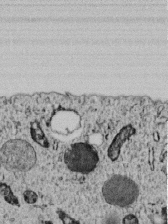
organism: C. elegans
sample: C. elegans embryo early stage